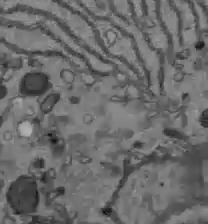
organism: C57BL Mouse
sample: Liver